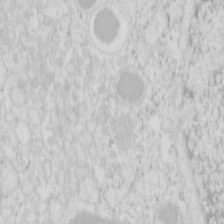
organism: Mouse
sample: Pancreas